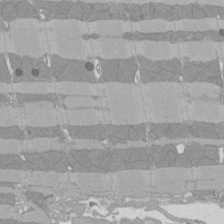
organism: Rat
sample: Left ventricle